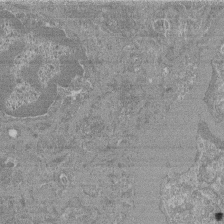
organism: Mouse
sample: Glomerulus